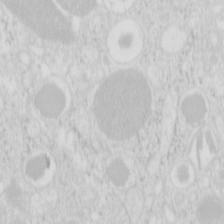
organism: Mouse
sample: Pancreas